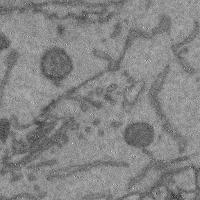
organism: Mouse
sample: Cerebral cortex